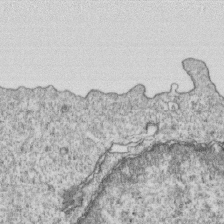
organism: Mouse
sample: Activated OT-1 CD8+ T cells